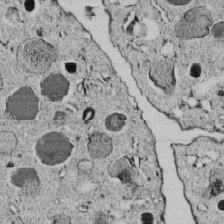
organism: C. elegans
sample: C. elegans embryo early stage